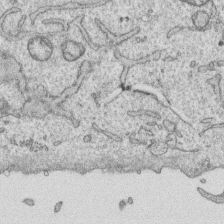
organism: Human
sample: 1205lu cells